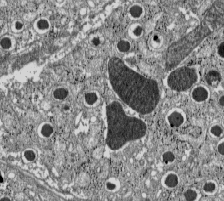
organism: C57BL Mouse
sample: Pancreatic islet